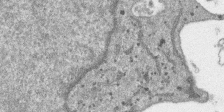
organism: Human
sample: Lung epithelial cells infected with SARS-CoV-2